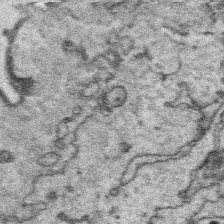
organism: Platynereis dumerilii